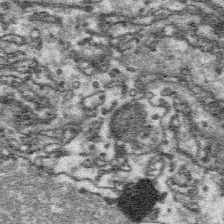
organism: Platynereis dumerilii